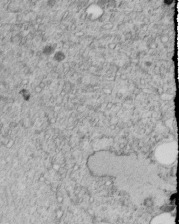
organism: C. elegans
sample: C. elegans embryo early stage